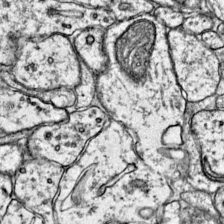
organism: Mouse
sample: Primary visual cortex